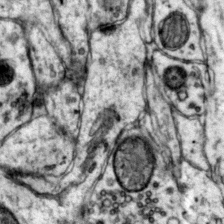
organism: Mouse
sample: Primary visual cortex